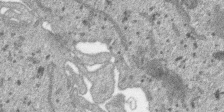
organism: Human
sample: Lung epithelial cells infected with SARS-CoV-2